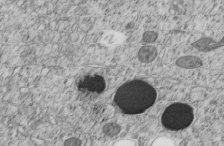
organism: C. elegans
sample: C. elegans embryo early stage